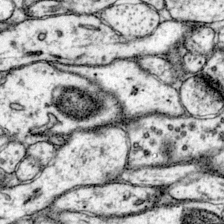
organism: Mouse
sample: Primary visual cortex